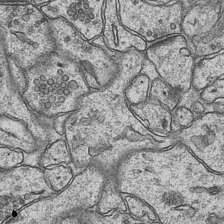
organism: Mouse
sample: CA1 Hippocampus